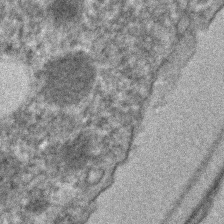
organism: C. elegans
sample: C. elegans embryo